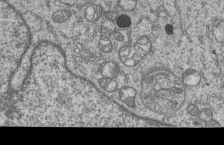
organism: Human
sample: MDA-MB-231 cells